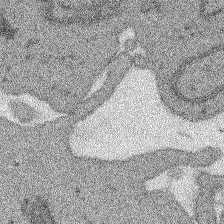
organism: Human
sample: HeLa cells